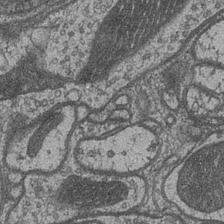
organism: Drosophila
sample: Optic medulla